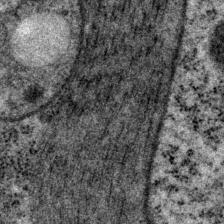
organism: P. pacificus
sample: Pharynx